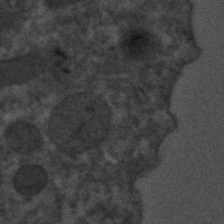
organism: C. elegans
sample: C. elegans embryo